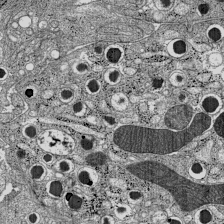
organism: C57BL Mouse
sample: Pancreatic islet